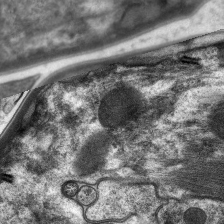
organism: C. elegans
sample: Pharynx